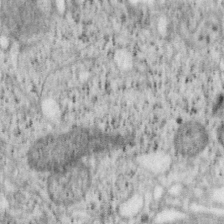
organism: Mouse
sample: OT-I killer T cells with ID8 ovarian cancer cells